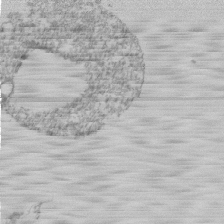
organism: Mouse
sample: Activated Pmel transgenic CD8+ T Cells